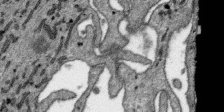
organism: Human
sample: Lung epithelial cells, uninfected (mock) control